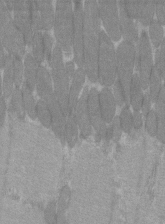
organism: C57BL Mouse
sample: Tibialis anterior muscle cell